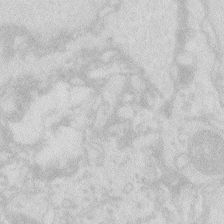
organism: Zebrafish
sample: Macrophage